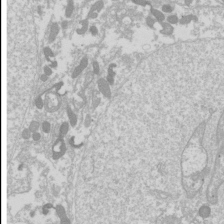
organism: Drosophila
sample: Cell division; meiosis; drosophila spermatocytes